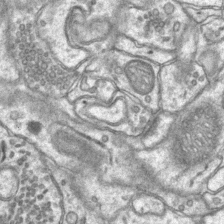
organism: Mouse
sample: CA1 Hippocampus